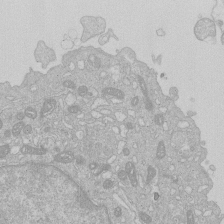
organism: Human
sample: Macrophage cells